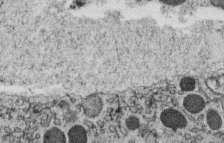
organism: C. elegans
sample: C. elegans oocyte; sperm cells